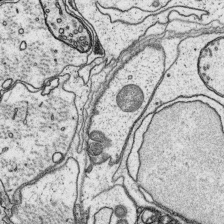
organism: Platynereis dumerilii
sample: Parapodia